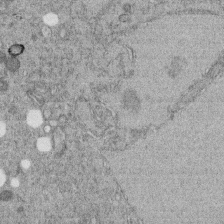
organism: C. elegans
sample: C. elegans embryo early stage